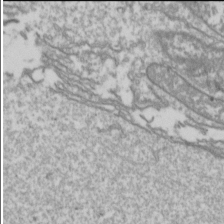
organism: Drosophila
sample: Cell division; meiosis; drosophila spermatocytes